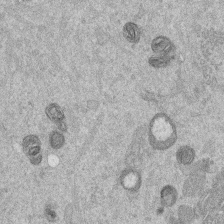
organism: Mouse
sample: Dividing mouse embryo 1 cell stage